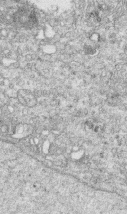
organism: Human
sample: HeLa cell HIV synapse